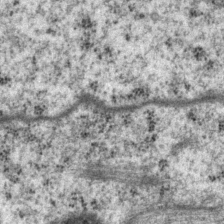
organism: P. pacificus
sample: Pharynx